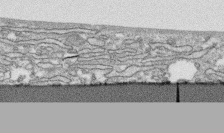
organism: Human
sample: CRL-1474